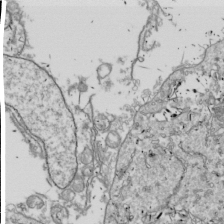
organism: Drosophila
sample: Cell division; meiosis; drosophila spermatocytes